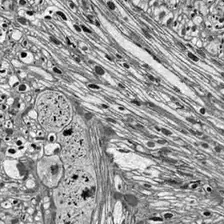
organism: Drosophila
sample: Optic lobe